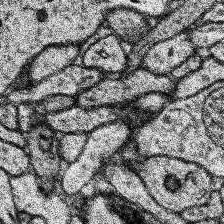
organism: Human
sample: Temporal Lobe